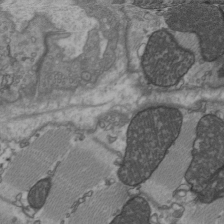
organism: C57BL Mouse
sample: Heart